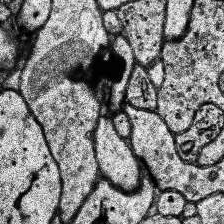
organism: Human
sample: Temporal Lobe